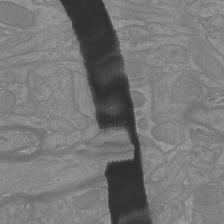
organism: Mouse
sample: Cortical neurons